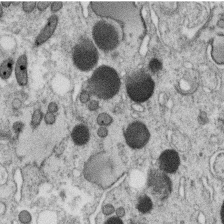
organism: C. elegans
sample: C. elegans oocyte; sperm cells